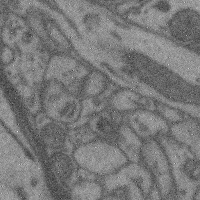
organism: Mouse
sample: Cerebral cortex